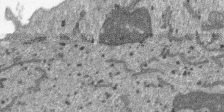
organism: Human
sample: Lung epithelial cells infected with SARS-CoV-2